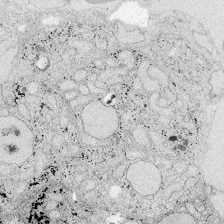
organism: Zebrafish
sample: Whole-Brain